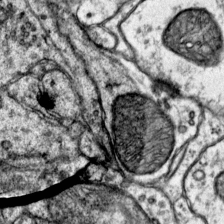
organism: Mouse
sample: Primary visual cortex